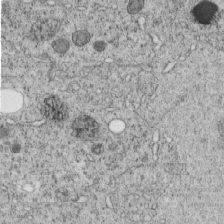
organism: C. elegans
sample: C. elegans embryo early stage